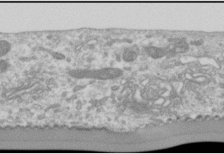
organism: Human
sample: Cilia; basal body in RPE cells